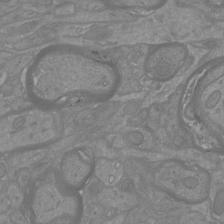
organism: Mouse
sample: Cortical neurons